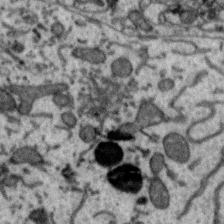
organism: Zebra finch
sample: Brain